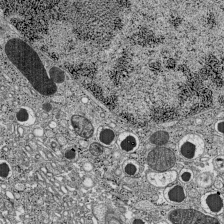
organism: C57BL Mouse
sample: Pancreatic islet